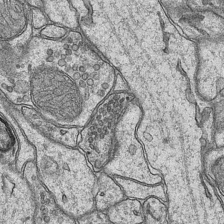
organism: Mouse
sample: CA1 Hippocampus